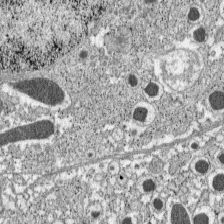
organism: C57BL Mouse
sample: Pancreatic islet